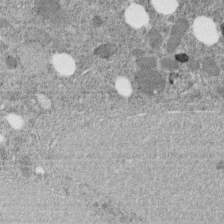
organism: C. elegans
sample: C. elegans embryo early stage